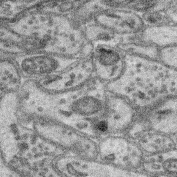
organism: Mouse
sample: Retina